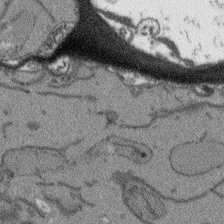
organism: Arabidopsis thaliana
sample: Root tip